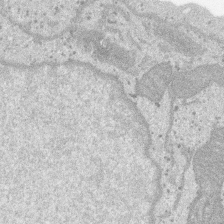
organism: Human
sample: Lung epithelial cells infected with SARS-CoV-2